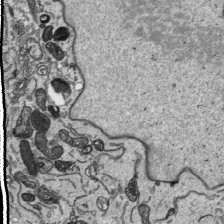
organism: Human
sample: Mitochondria in HCT116 cells